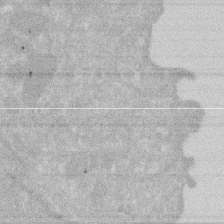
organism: Human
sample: HIV infected U937 cells